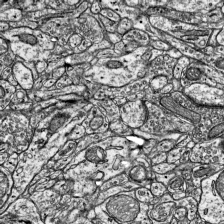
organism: Mouse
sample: Visual Cortex